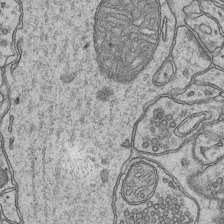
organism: Mouse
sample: CA1 Hippocampus